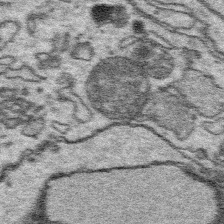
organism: Platynereis dumerilii